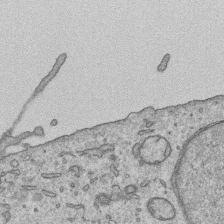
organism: Human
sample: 1205lu cells